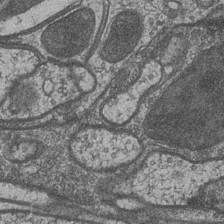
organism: Drosophila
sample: Optic medulla